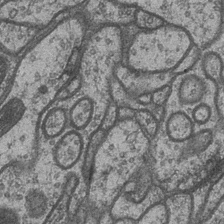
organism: Drosophila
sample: Optic medulla